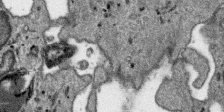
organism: Human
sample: Lung epithelial cells, uninfected (mock) control